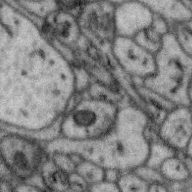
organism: Zebra finch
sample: Brain